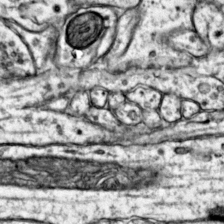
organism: Mouse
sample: Primary visual cortex